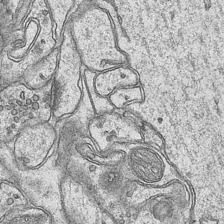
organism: Mouse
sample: CA1 Hippocampus